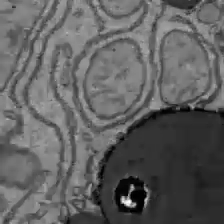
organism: C57BL Mouse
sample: Liver